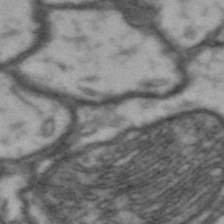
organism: Drosophila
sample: Brain